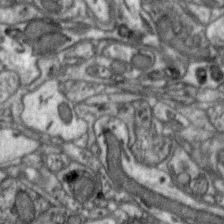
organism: Zebra finch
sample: Brain